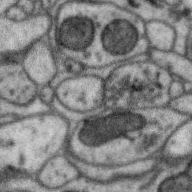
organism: Zebra finch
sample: Brain